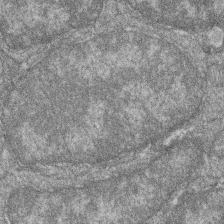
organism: Zebrafish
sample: Cilia; retinal pigment epithelium